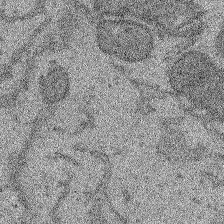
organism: Human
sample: HeLa cells